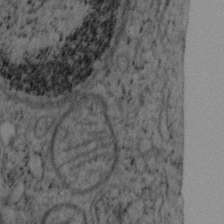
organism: Human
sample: HeLa cells